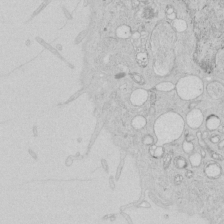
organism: Human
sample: Mitochondria in HCT116 cells